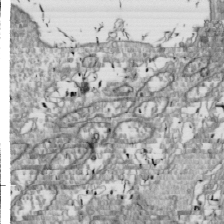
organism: Drosophila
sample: Cell division; meiosis; drosophila spermatocytes